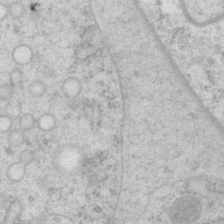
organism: P. pacificus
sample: Pharynx